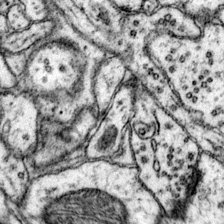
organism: Mouse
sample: Primary visual cortex